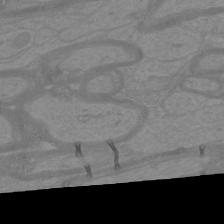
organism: Mouse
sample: Cortical neurons